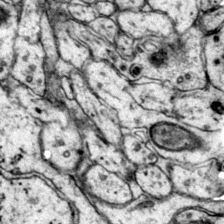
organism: Mouse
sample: Primary visual cortex